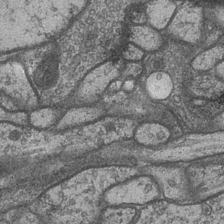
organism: Drosophila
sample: Optic medulla